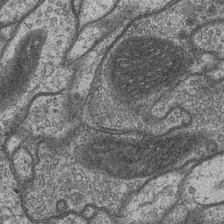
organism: Drosophila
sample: Optic medulla